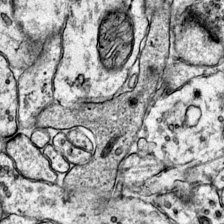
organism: Mouse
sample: Primary visual cortex